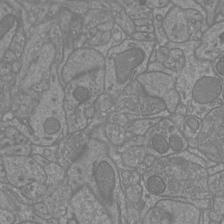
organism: Mouse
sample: Cortical neurons